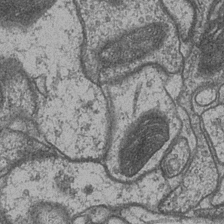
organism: Drosophila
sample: Optic medulla